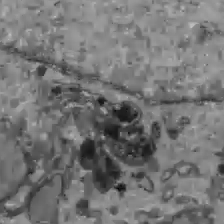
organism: C57BL Mouse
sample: Liver